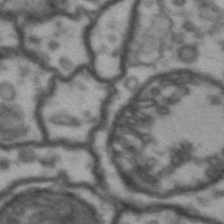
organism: Drosophila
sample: Brain